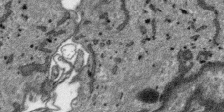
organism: Human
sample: Lung epithelial cells, uninfected (mock) control